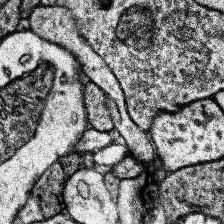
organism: Human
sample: Temporal Lobe